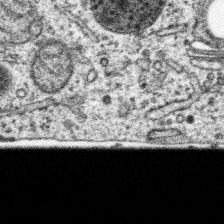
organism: Human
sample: HeLa cells